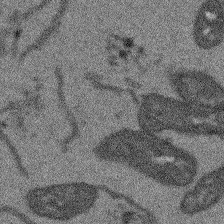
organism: Arabidopsis thaliana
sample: Root tip